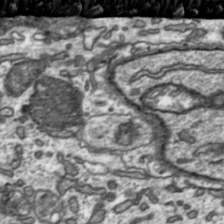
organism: Toxoplasma gondii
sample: Parasites in a vacuole inside a host cell